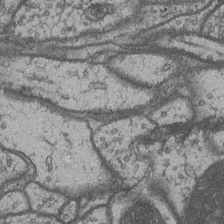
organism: Drosophila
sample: Optic medulla